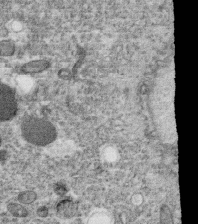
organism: C. elegans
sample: C. elegans oocyte; sperm cells